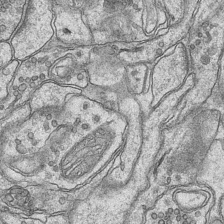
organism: Mouse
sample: CA1 Hippocampus